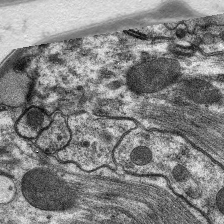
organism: C. elegans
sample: Pharynx